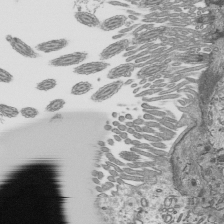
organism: Mouse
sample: Mouse epididymis efferent ductule cilia